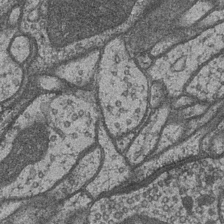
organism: Drosophila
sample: Optic medulla